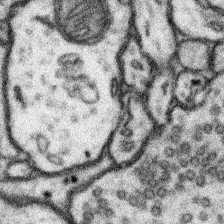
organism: Mouse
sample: Somatosensory cortex neuropil